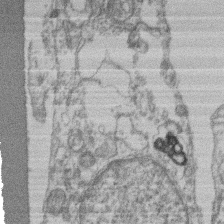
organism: Mouse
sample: T cell stromal cell synapse